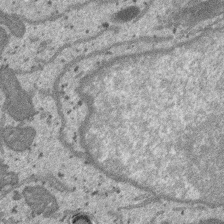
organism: Human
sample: Lung epithelial cells infected with SARS-CoV-2